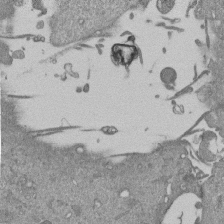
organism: Mouse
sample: ED-1 cell nuclei; centrioles